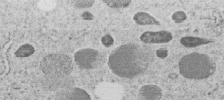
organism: C. elegans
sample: C. elegans embryo early stage